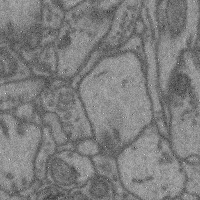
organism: Mouse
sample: Cerebral cortex